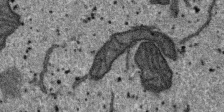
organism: Human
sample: Lung epithelial cells, uninfected (mock) control